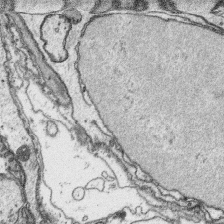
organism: Platynereis dumerilii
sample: Parapodia